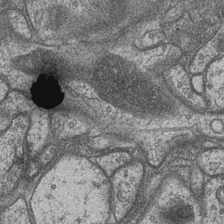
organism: Drosophila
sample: Optic medulla